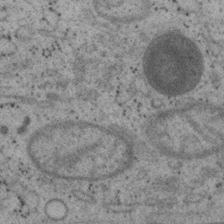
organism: Human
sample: HeLa cells